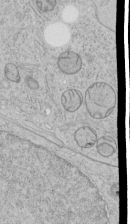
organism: Human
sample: Mitochondria in HCT116 cells